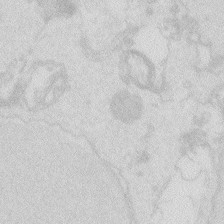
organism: Zebrafish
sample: Macrophage